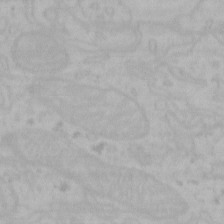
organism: Mouse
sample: Choroid plexus